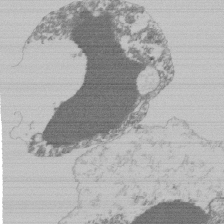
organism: Mouse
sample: Activated Pmel transgenic CD8+ T Cells